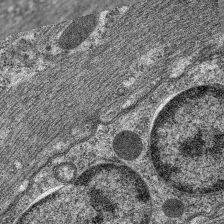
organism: C. elegans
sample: Pharynx